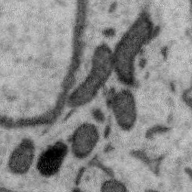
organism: Zebra finch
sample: Brain